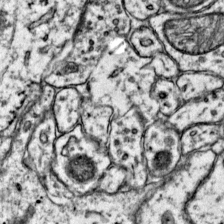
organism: Mouse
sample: Primary visual cortex